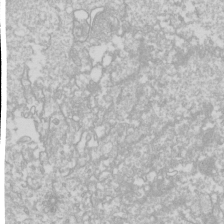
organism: Drosophila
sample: Cell division; meiosis; drosophila spermatocytes